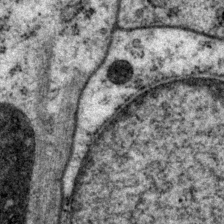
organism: P. pacificus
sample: Pharynx